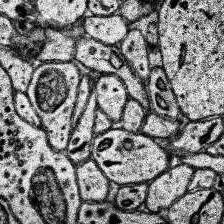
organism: Human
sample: Temporal Lobe